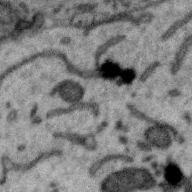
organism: Zebra finch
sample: Brain